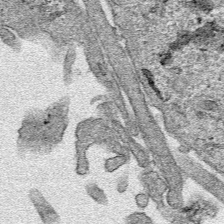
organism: Human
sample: Mitochondria in HCT116 cells